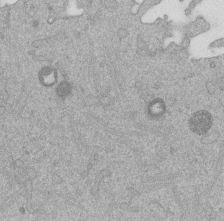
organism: Mouse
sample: Dividing mouse embryo 1 cell stage